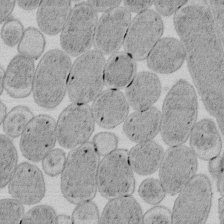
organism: E. coli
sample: Bacterial nucleoid